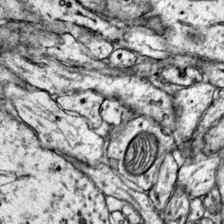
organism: Mouse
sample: Primary visual cortex